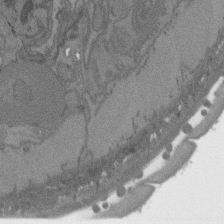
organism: C. elegans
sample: AFD neurons C. elegans